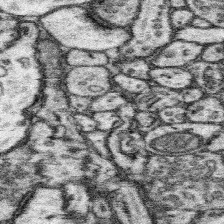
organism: Mouse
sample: Somatosensory cortex neuropil